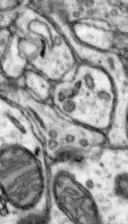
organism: Mouse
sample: Nucleus accumbens